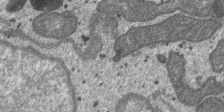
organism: Human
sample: Lung epithelial cells infected with SARS-CoV-2